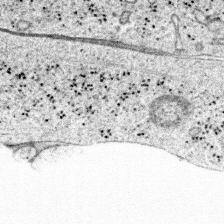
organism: Human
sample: HeLa cells